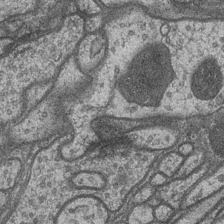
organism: Drosophila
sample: Optic medulla